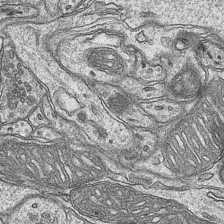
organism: Mouse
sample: CA1 Hippocampus